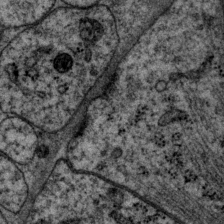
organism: P. pacificus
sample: Pharynx